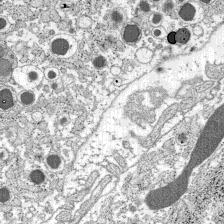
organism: C57BL Mouse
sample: Pancreatic islet